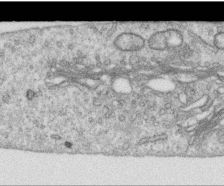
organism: Human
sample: Centriole in RPE cells